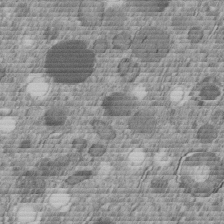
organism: C. elegans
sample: C. elegans embryo early stage